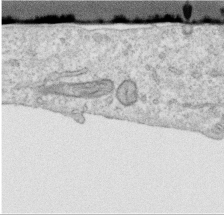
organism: Human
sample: Centriole in RPE cells